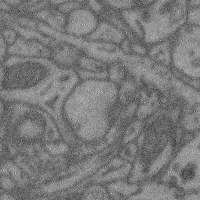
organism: Mouse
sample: Cerebral cortex